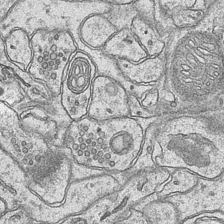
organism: Mouse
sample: CA1 Hippocampus